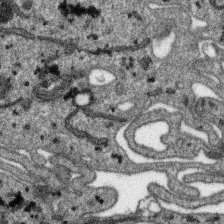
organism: Human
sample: Lung epithelial cells infected with SARS-CoV-2